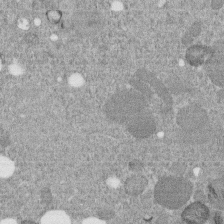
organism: C. elegans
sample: C. elegans embryo early stage